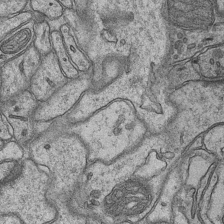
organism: Mouse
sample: CA1 Hippocampus